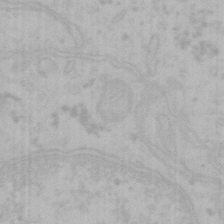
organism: Mouse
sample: Choroid plexus